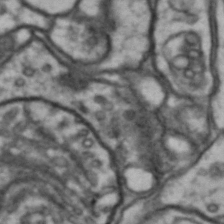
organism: Drosophila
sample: Brain